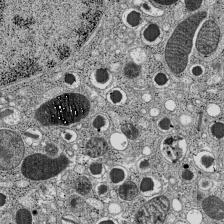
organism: C57BL Mouse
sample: Pancreatic islet